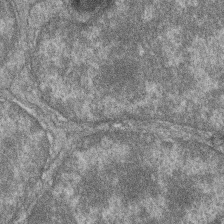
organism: Zebrafish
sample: Cilia; retinal pigment epithelium